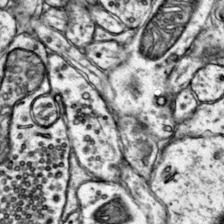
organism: Mouse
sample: Primary visual cortex